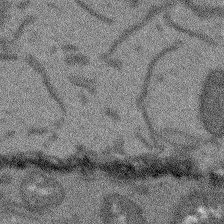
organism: Arabidopsis thaliana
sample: Root tip